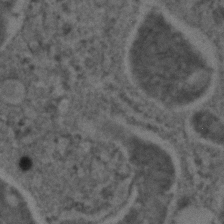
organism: C. elegans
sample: C. elegans embryo